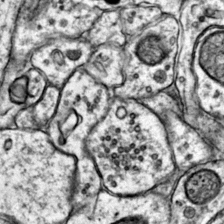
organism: Mouse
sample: Primary visual cortex